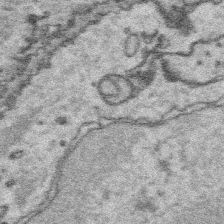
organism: Platynereis dumerilii